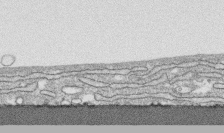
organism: Human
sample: CRL-1474